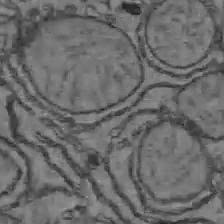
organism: C57BL Mouse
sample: Liver